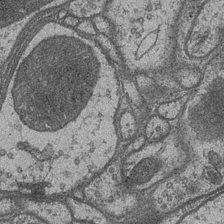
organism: Drosophila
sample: Optic medulla